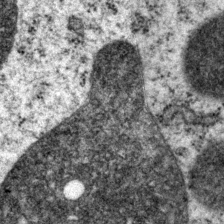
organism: P. pacificus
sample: Pharynx